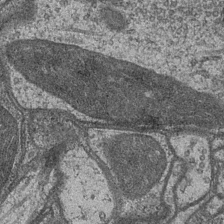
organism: Drosophila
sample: Optic medulla